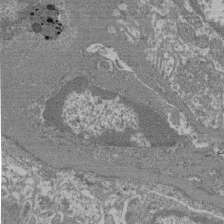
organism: Mouse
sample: Glomerulus